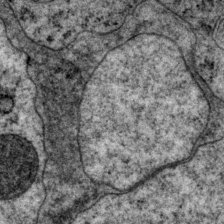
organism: P. pacificus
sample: Pharynx